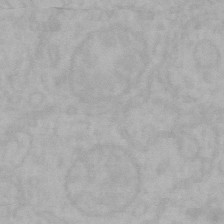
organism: Mouse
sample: Choroid plexus